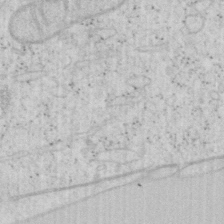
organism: Human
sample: HeLa cells